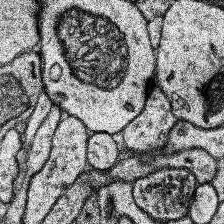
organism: Human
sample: Temporal Lobe